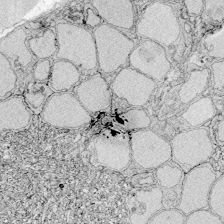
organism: Zebrafish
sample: Whole-Brain